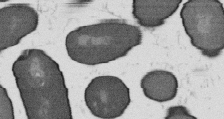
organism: B. subtilis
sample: Bacterial spore